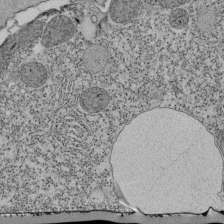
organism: Tetrahymena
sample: Cilia in tetrahymena